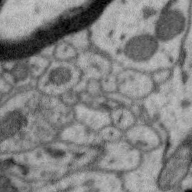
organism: Zebra finch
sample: Brain